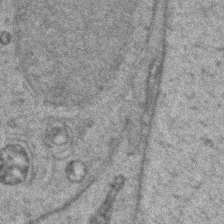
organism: Zebrafish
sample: Zebrafish embryo